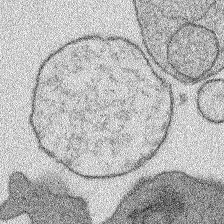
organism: Human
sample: HeLa cells